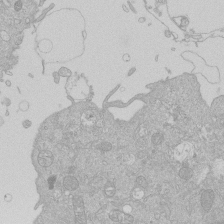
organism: Human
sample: Macrophage cells